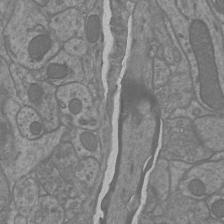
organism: Mouse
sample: Cortical neurons